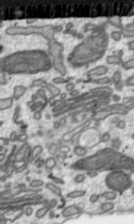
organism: Toxoplasma gondii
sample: Parasites in a vacuole inside a host cell